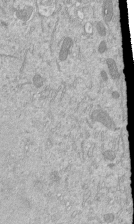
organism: Mouse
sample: ED-1 cell nuclei; centrioles